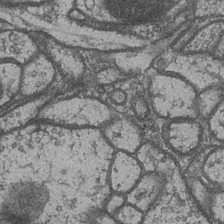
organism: Drosophila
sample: Optic medulla